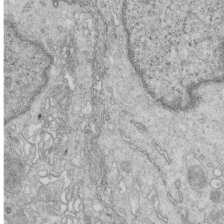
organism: Mouse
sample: Multiciliated cells